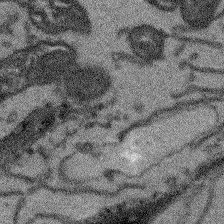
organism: Arabidopsis thaliana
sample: Root tip